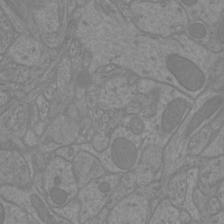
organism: Mouse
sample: Cortical neurons